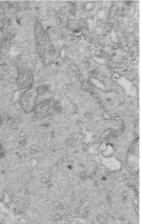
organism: Mouse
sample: Multiciliated cells